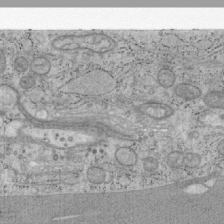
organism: Human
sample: HeLa cells